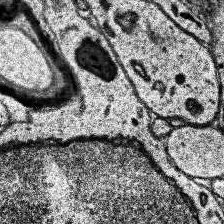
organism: Human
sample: Temporal Lobe